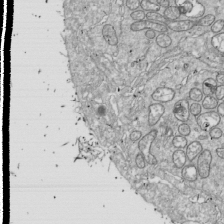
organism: Drosophila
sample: Cell division; meiosis; drosophila spermatocytes